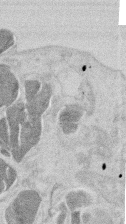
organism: Mouse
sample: T cell stromal cell synapse